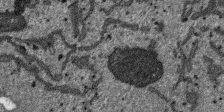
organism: Human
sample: Lung epithelial cells infected with SARS-CoV-2